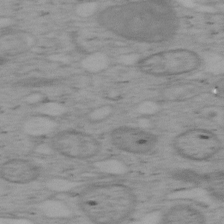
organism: Mouse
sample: OT-I killer T cells with ID8 ovarian cancer cells